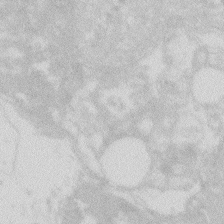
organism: Zebrafish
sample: Macrophage